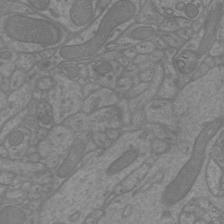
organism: Mouse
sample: Cortical neurons